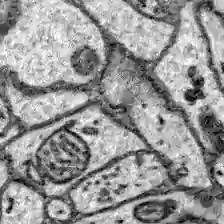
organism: Zebrafish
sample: Brain